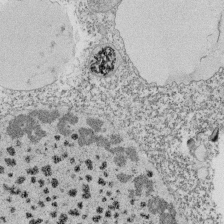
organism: Tetrahymena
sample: Cilia in tetrahymena